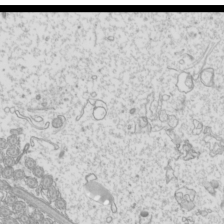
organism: Mouse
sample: Cilia; mouse epididymis